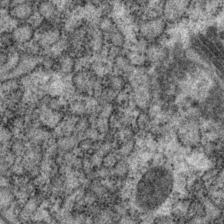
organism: P. pacificus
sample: Pharynx